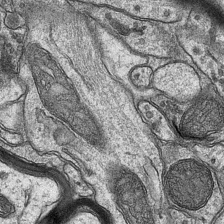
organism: Mouse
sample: CA1 Hippocampus